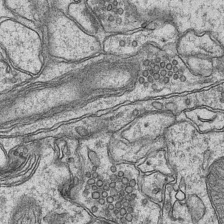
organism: Mouse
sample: CA1 Hippocampus